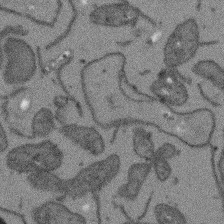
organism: Arabidopsis thaliana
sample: Root tip